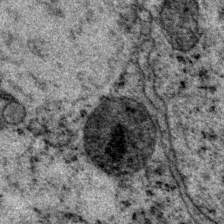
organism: P. pacificus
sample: Pharynx